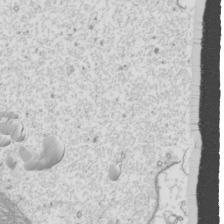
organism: Mouse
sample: Cilia; mouse epididymis